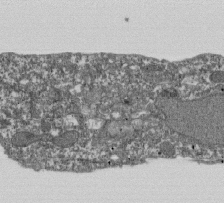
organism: Dictyostelium discoideum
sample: Dictyostelium multivesicular bodies